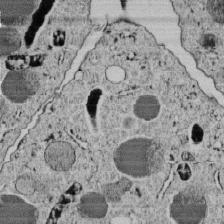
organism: C. elegans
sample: C. elegans embryo early stage